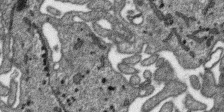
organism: Human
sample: Lung epithelial cells infected with SARS-CoV-2